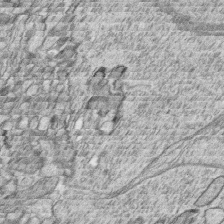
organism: Zebrafish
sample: synaptic ribbons in rod cells and cone cells